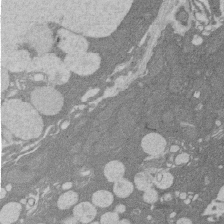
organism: Rat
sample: Salivary granule